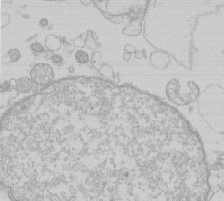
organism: Human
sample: Macrophage cells